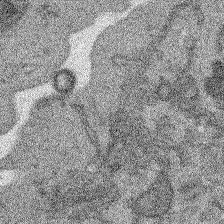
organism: Human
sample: HeLa cells